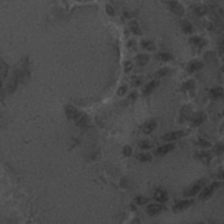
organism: C. elegans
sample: C. elegans embryo